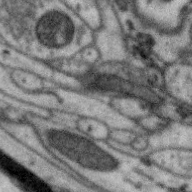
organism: Zebra finch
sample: Brain